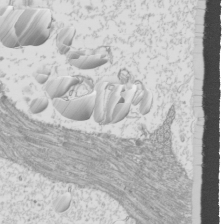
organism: Mouse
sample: Cilia; mouse epididymis